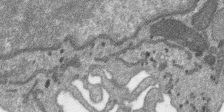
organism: Human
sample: Lung epithelial cells infected with SARS-CoV-2